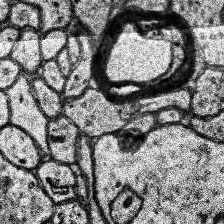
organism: Human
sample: Temporal Lobe